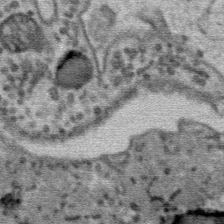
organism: Mouse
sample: Mouse Salivary gland